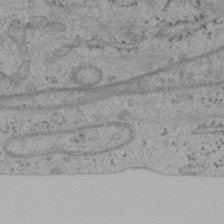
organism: Human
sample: HeLa cells